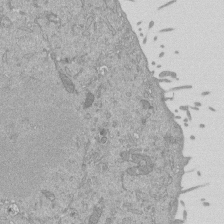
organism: Mouse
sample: ED-1 cell nuclei; centrioles